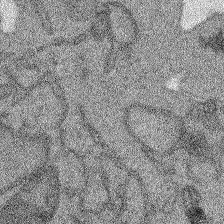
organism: Human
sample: HeLa cells